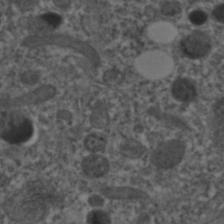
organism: C. elegans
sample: C. elegans embryo